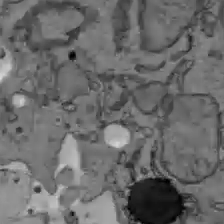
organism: C57BL Mouse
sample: Liver